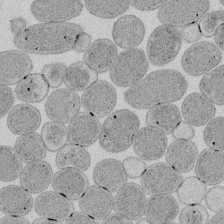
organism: E. coli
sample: Bacterial nucleoid